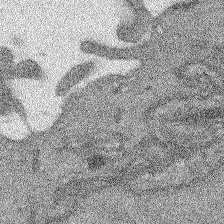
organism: Human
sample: HeLa cells